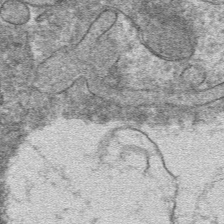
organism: Mouse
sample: Mouse hepatocytes